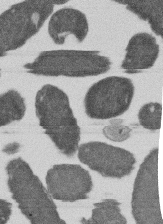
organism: E. coli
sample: Bacterial nucleoid